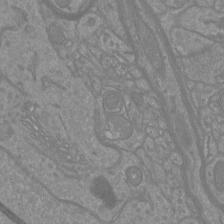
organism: Mouse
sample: Cortical neurons